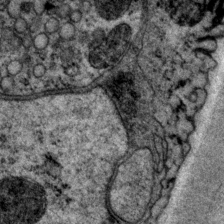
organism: P. pacificus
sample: Pharynx